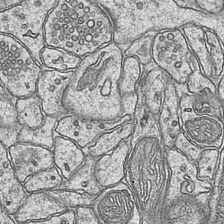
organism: Mouse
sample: CA1 Hippocampus